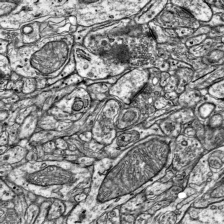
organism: Mouse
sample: Visual Cortex